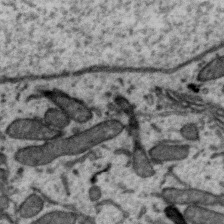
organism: Zebra finch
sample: Brain